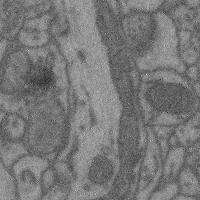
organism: Mouse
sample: Cerebral cortex